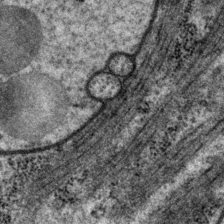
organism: P. pacificus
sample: Pharynx